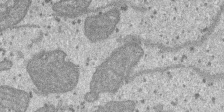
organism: Human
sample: Lung epithelial cells infected with SARS-CoV-2